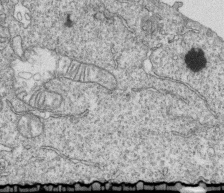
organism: Human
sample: HeLa cell HIV synapse